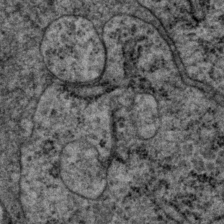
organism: P. pacificus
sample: Pharynx